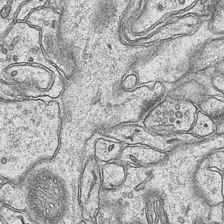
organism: Mouse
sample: CA1 Hippocampus